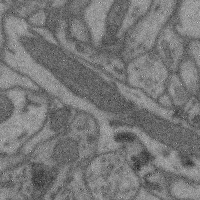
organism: Mouse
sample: Cerebral cortex